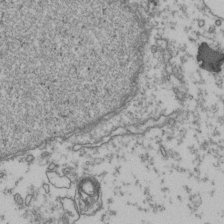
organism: Human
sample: Activated Jurkat CD4+ T cells